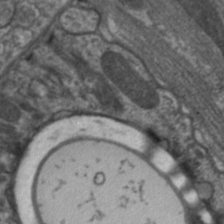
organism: C. elegans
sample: Pharynx